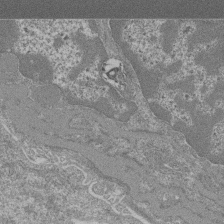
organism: Mouse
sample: Glomerulus